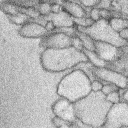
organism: Rabbit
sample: Retina